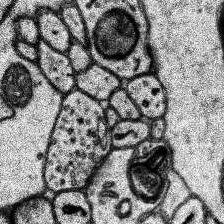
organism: Human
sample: Temporal Lobe